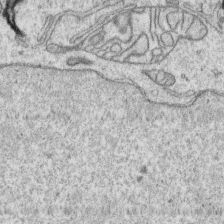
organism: Human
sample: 1205lu cells